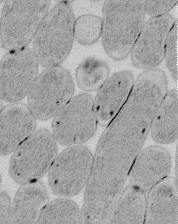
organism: E. coli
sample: Bacterial nucleoid